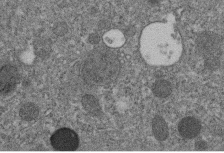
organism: C. elegans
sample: C. elegans embryo early stage